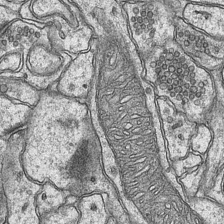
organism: Mouse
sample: CA1 Hippocampus